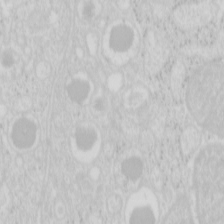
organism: Mouse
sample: Pancreas